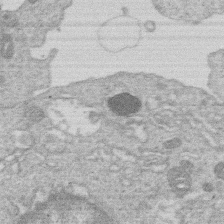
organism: Human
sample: Macrophage cells